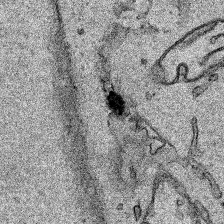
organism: Human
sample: Mitochondria in HCT116 cells